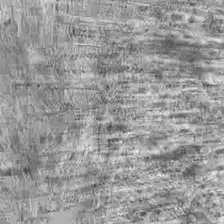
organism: Drosophila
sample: Optic lobe